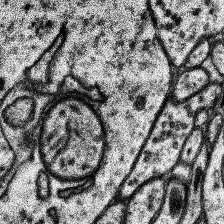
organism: Human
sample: Temporal Lobe